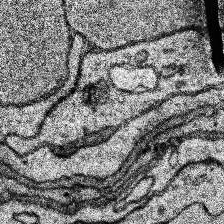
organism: Human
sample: Temporal Lobe